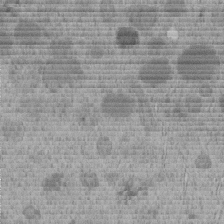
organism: C. elegans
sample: C. elegans embryo early stage